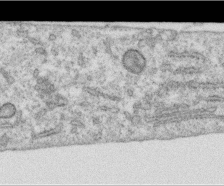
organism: Human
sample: Centriole in RPE cells